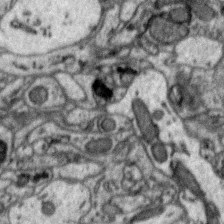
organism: Zebra finch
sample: Brain